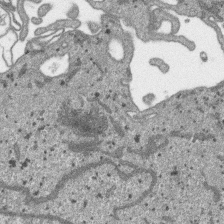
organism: Human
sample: Lung epithelial cells infected with SARS-CoV-2